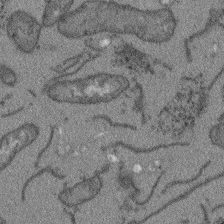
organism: Arabidopsis thaliana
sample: Root tip